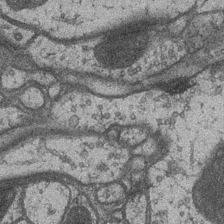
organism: Drosophila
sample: Optic medulla